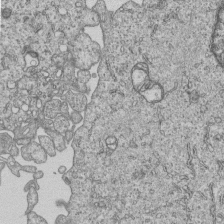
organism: Human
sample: MDA-MB-231 cells